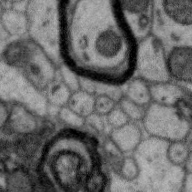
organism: Zebra finch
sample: Brain